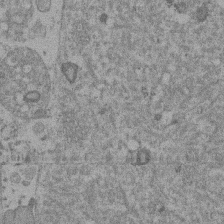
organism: Mouse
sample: Dividing mouse embryo 1 cell stage